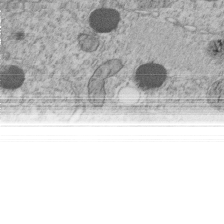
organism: C. elegans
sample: C. elegans embryo early stage